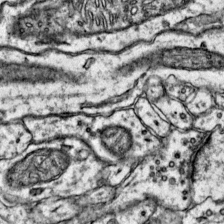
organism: Mouse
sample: Primary visual cortex